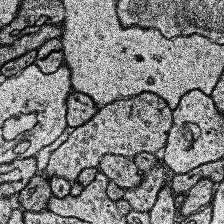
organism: Human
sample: Temporal Lobe